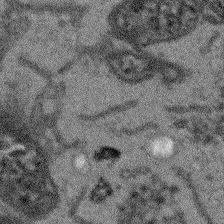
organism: Arabidopsis thaliana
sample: Root tip